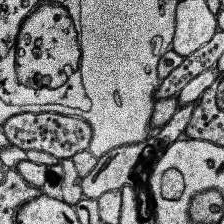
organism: Human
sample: Temporal Lobe